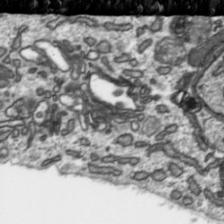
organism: Toxoplasma gondii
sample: Parasites in a vacuole inside a host cell